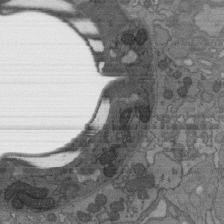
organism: C. elegans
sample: AFD neurons C. elegans